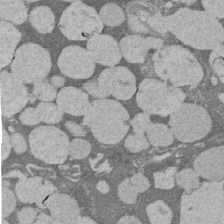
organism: Rat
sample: Salivary granule